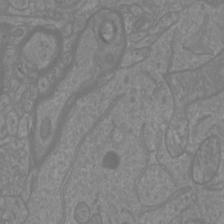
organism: Mouse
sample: Cortical neurons